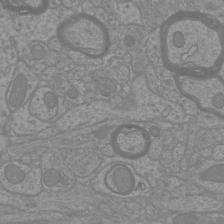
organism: Mouse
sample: Cortical neurons